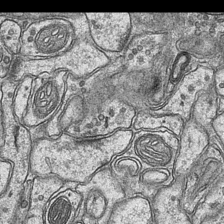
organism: Mouse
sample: CA1 Hippocampus